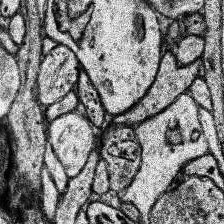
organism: Human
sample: Temporal Lobe